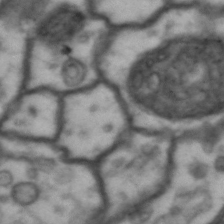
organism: Drosophila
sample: Brain